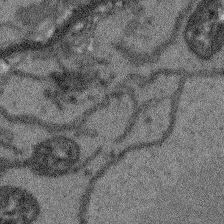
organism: Arabidopsis thaliana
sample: Root tip